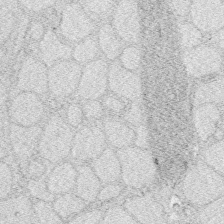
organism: Zebrafish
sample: Whole-Brain